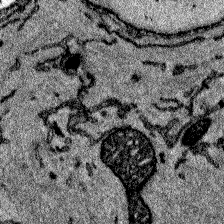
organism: Zebrafish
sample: Larval olfactory bulb